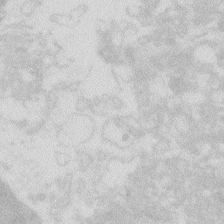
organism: Zebrafish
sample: Macrophage